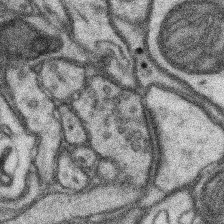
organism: Mouse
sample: Somatosensory cortex neuropil